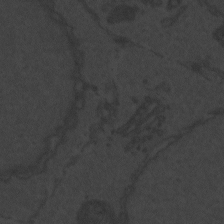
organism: Zebrafish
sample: Macrophage infected with Toxoplasma gondii